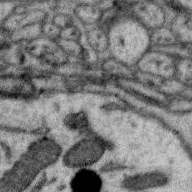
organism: Zebra finch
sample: Brain